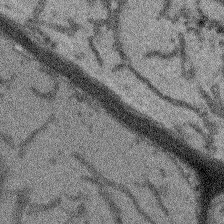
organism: Arabidopsis thaliana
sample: Root tip